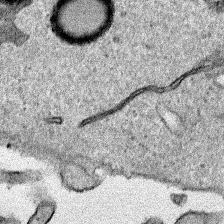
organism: Human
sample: Mitochondria in HCT116 cells